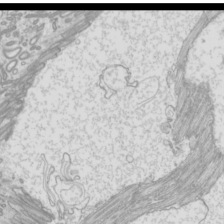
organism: Mouse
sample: Cilia; mouse epididymis